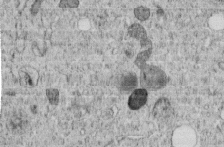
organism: C. elegans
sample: C. elegans embryo early stage